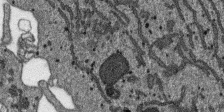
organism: Human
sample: Lung epithelial cells infected with SARS-CoV-2